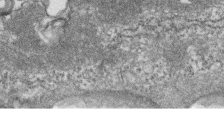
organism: Zebrafish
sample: Cilia; retinal pigment epithelium